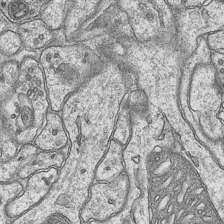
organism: Mouse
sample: CA1 Hippocampus